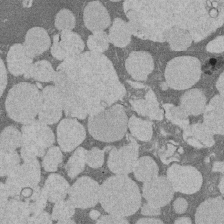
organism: Rat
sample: Salivary granule